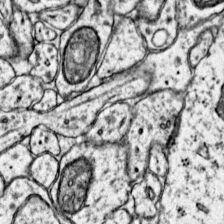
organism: Mouse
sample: Primary visual cortex